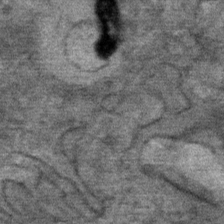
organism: Mouse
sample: Mouse Salivary gland